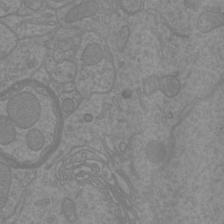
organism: Mouse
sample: Cortical neurons